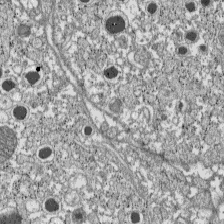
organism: C57BL Mouse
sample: Pancreatic islet